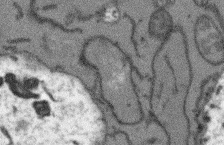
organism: Arabidopsis thaliana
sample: Root tip